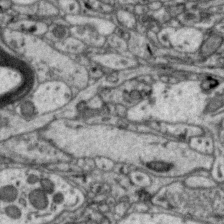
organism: Zebra finch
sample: Brain